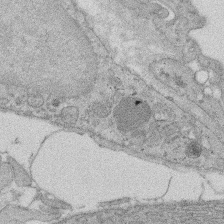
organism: Rat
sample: Salivary granule